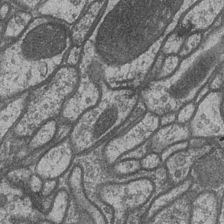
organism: Drosophila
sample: Optic medulla